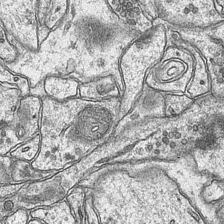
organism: Mouse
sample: CA1 Hippocampus